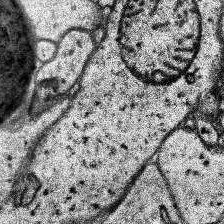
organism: Human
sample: Temporal Lobe